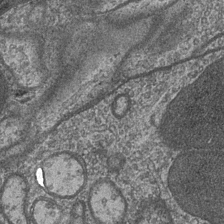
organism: Drosophila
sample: Optic medulla